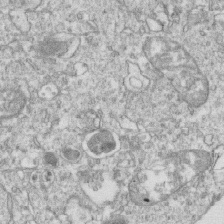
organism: Mouse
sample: Activated OT-1 CD8+ T cells